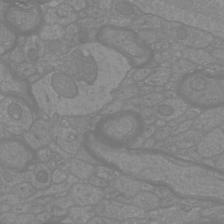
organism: Mouse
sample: Cortical neurons